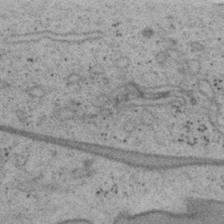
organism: Human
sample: HeLa cells